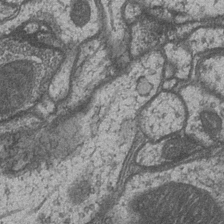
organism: Drosophila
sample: Optic medulla